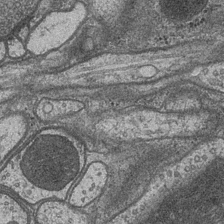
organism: Drosophila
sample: Optic medulla